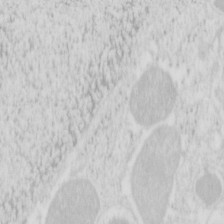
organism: Mouse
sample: Pancreas